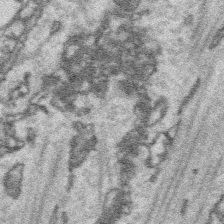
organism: Platynereis dumerilii